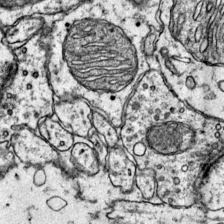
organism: Mouse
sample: Primary visual cortex